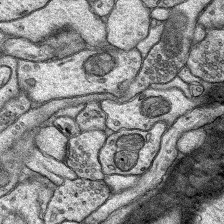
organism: Rat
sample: Hippocampus